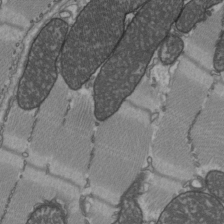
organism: C57BL Mouse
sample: Heart